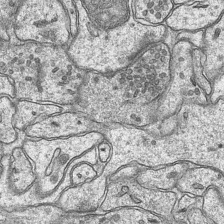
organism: Mouse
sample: CA1 Hippocampus